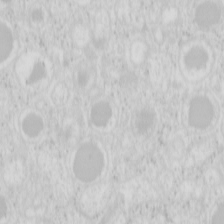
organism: Mouse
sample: Pancreas